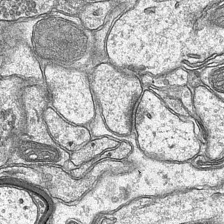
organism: Mouse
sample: CA1 Hippocampus